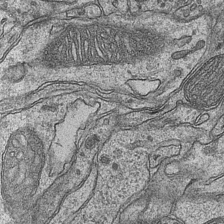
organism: Mouse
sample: CA1 Hippocampus